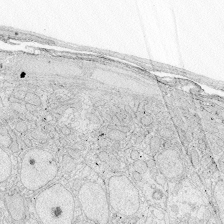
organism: Zebrafish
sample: Whole-Brain